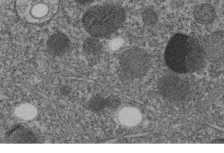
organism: C. elegans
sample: C. elegans embryo early stage